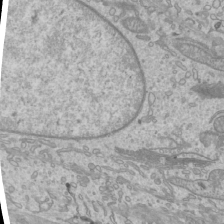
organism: Mouse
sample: Cilia; mouse epididymis